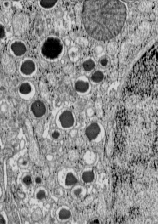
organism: C57BL Mouse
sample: Pancreatic islet